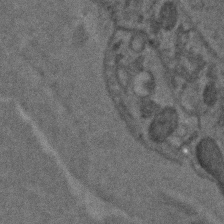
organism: C. elegans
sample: C. elegans embryo